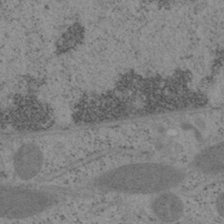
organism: Mouse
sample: OT-I killer T cells with ID8 ovarian cancer cells